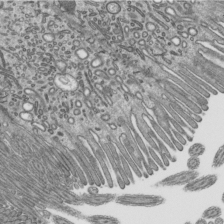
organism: Mouse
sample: Mouse epididymis efferent ductule cilia